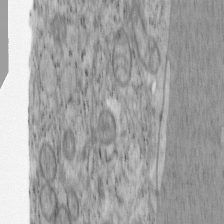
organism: Human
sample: HeLa cells